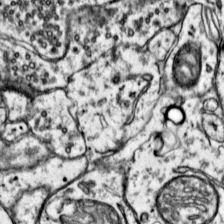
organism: Mouse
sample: Primary visual cortex